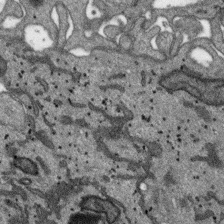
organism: Human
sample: Lung epithelial cells, uninfected (mock) control